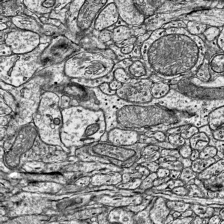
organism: Mouse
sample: Visual Cortex